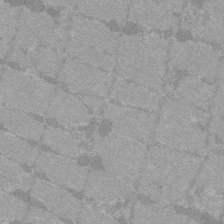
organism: C57BL Mouse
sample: Tibialis anterior muscle cell